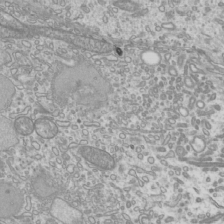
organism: Mouse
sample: Cilia; mouse epididymis